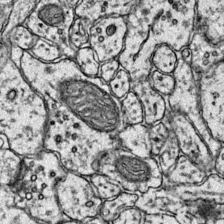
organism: Mouse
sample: Primary visual cortex